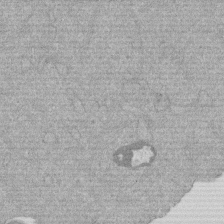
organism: Mouse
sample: Dividing mouse embryo 1 cell stage